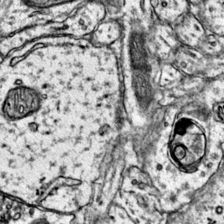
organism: Mouse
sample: Primary visual cortex